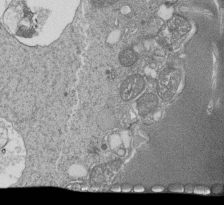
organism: Tetrahymena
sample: Cilia in tetrahymena